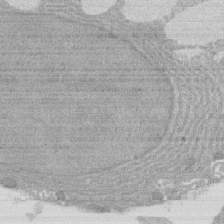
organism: Rat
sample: Salivary granule